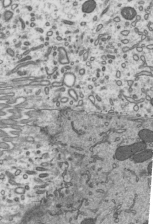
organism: Mouse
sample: Mouse epididymis efferent ductule cilia